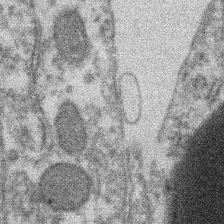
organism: Xenopus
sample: Cilia; centrioles in frog embryo cells